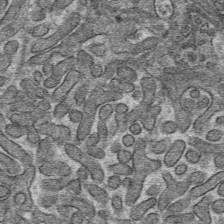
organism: Mouse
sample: Mouse hepatocytes